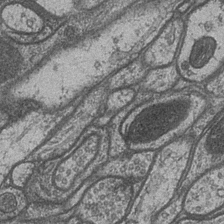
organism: Drosophila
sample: Optic medulla